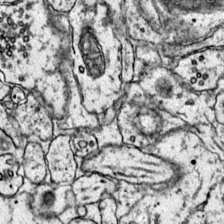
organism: Mouse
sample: Primary visual cortex